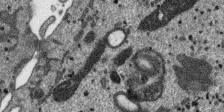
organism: Human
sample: Lung epithelial cells infected with SARS-CoV-2